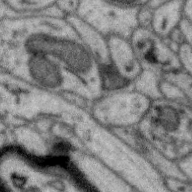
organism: Zebra finch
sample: Brain